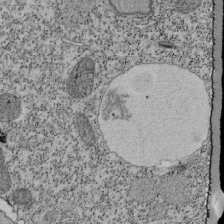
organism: Tetrahymena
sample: Cilia in tetrahymena